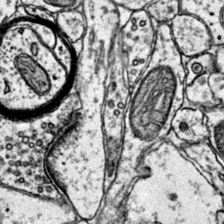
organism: Mouse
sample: Primary visual cortex